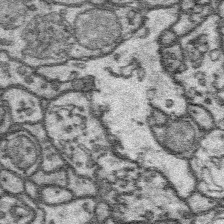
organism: Platynereis dumerilii